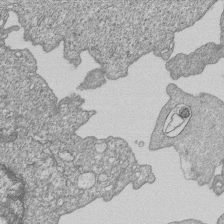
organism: Human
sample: MDA-MB-231 cells